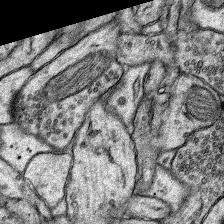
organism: Rat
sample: Hippocampus